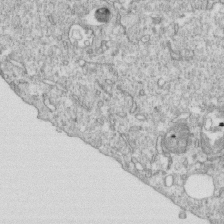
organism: Mouse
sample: Activated OT-1 CD8+ T cells